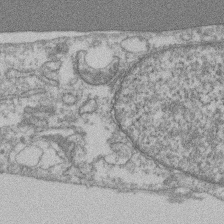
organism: Mouse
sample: T cell stromal cell synapse